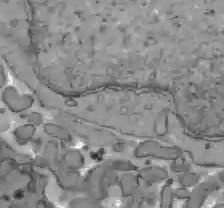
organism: C57BL Mouse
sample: Liver